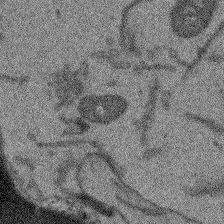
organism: Arabidopsis thaliana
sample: Root tip